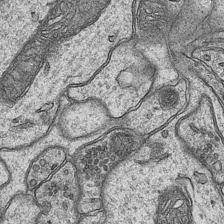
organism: Mouse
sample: CA1 Hippocampus